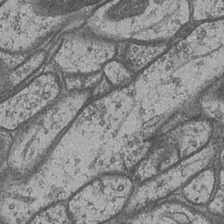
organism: Drosophila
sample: Optic medulla